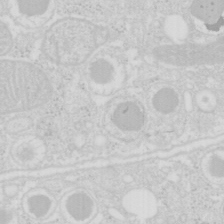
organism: Mouse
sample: Pancreas